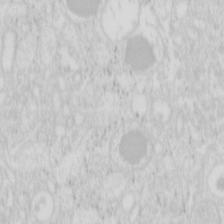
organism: Mouse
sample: Pancreas